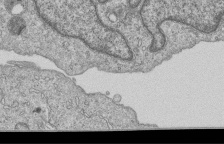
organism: Human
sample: MDA-MB-231 cells